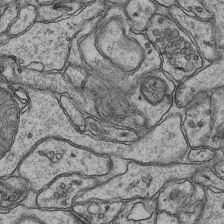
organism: Mouse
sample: CA1 Hippocampus